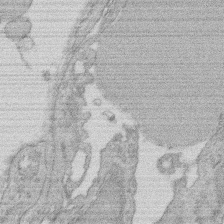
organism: Rat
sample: Salivary granule